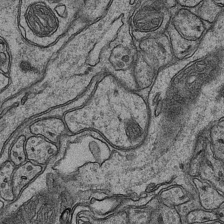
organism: Mouse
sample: CA1 Hippocampus